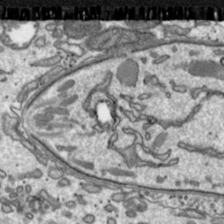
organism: Toxoplasma gondii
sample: Parasites in a vacuole inside a host cell